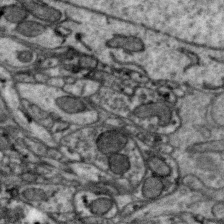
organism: Zebra finch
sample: Brain